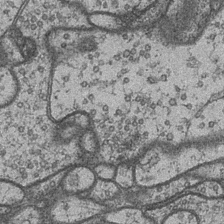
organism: Drosophila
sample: Optic medulla